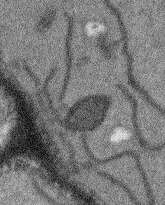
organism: Arabidopsis thaliana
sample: Root tip